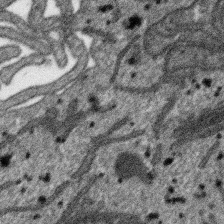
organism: Human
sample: Lung epithelial cells infected with SARS-CoV-2